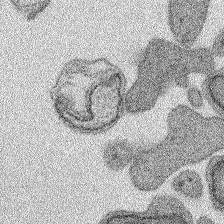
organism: Human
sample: HeLa cells